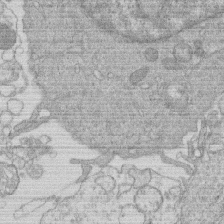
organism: Human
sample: Macrophage cells